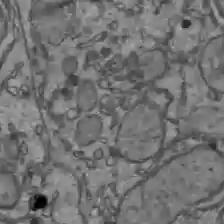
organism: C57BL Mouse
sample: Liver